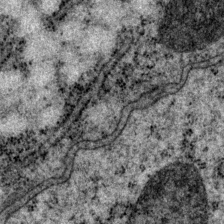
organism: P. pacificus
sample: Pharynx